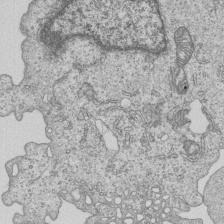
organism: Human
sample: MDA-MB-231 cells